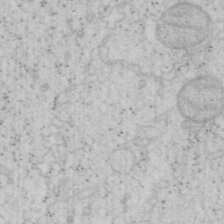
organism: Human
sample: HeLa cells